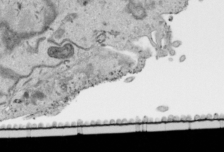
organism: Human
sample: Mitochondria in HCT116 cells